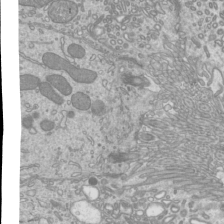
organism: Mouse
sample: Cilia; mouse epididymis